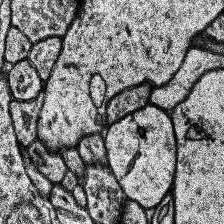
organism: Human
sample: Temporal Lobe